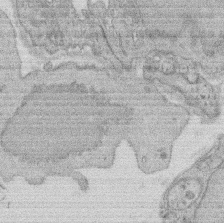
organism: Rat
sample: Salivary granule